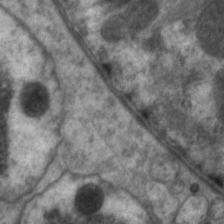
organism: C. elegans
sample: Pharynx